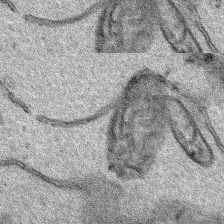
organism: Human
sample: Mitochondria in HCT116 cells